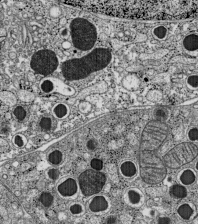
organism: C57BL Mouse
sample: Pancreatic islet